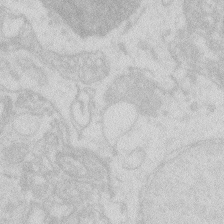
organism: Zebrafish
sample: Macrophage